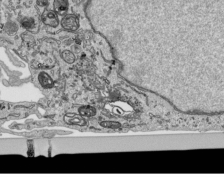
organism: Human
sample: Mitochondria in HCT116 cells